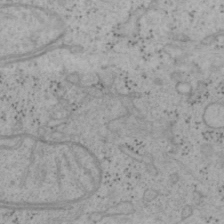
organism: Human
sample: HeLa cells